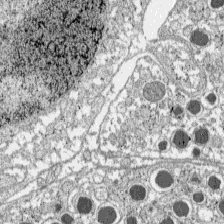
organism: C57BL Mouse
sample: Pancreatic islet